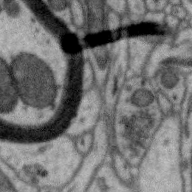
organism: Zebra finch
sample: Brain